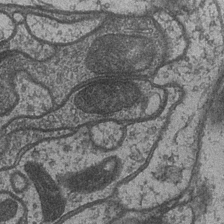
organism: Drosophila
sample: Optic medulla